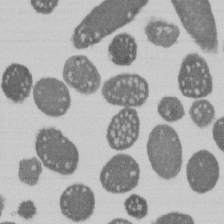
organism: E. coli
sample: Bacterial nucleoid